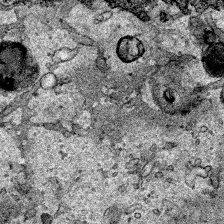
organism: Human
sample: Mitochondria in HCT116 cells